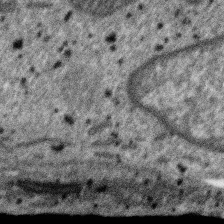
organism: Human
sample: Lung epithelial cells infected with SARS-CoV-2